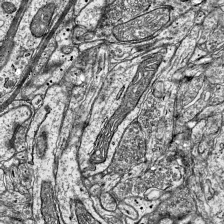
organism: Mouse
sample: Visual Cortex